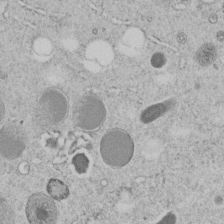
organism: C. elegans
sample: C. elegans embryo early stage